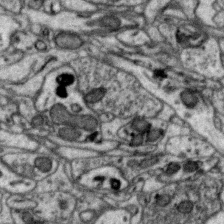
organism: Zebra finch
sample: Brain